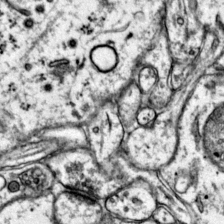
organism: Mouse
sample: Primary visual cortex